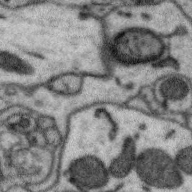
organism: Zebra finch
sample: Brain